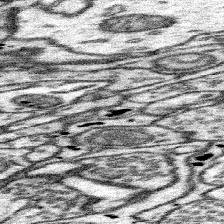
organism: Mouse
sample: Somatosensory cortex neuropil